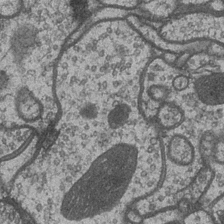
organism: Drosophila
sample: Optic medulla